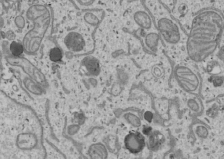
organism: Human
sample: Mitochondria in U2OS cells